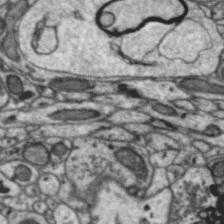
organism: Zebra finch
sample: Brain